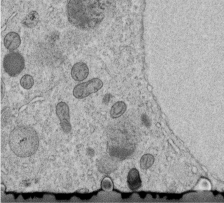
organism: C. elegans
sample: C. elegans embryo early stage